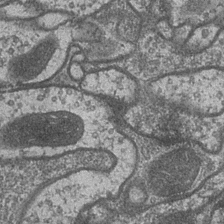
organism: Drosophila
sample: Optic medulla